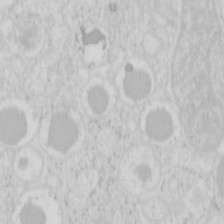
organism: Mouse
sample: Pancreas